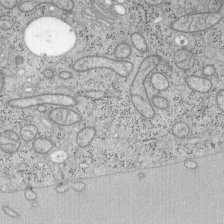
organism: Mouse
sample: OT-I killer T cells with ID8 ovarian cancer cells